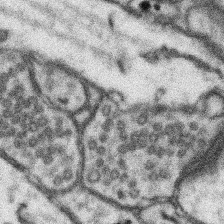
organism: Mouse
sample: Somatosensory cortex neuropil